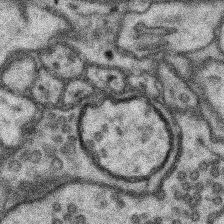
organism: Mouse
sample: Somatosensory cortex neuropil